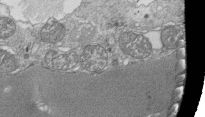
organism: Tetrahymena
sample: Cilia in tetrahymena